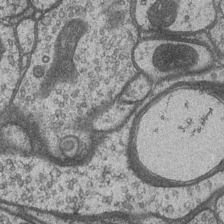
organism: Drosophila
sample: Optic medulla